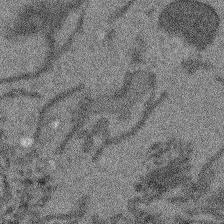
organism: Arabidopsis thaliana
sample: Root tip